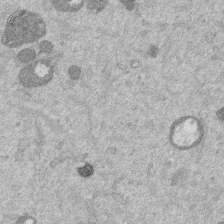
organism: Mouse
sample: Dividing mouse embryo 1 cell stage